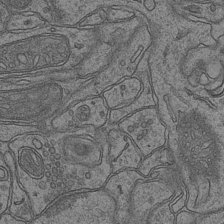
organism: Mouse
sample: CA1 Hippocampus